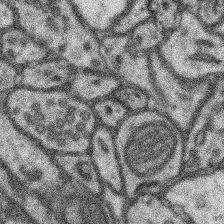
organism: Mouse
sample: Somatosensory cortex neuropil